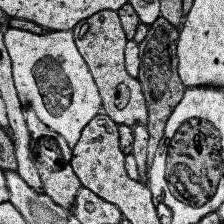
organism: Human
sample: Temporal Lobe